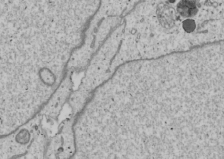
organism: Human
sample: Mitochondria in U2OS cells